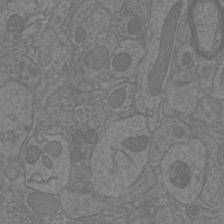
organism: Mouse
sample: Cortical neurons